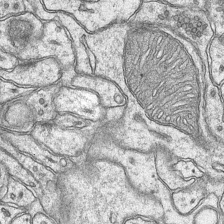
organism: Mouse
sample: CA1 Hippocampus